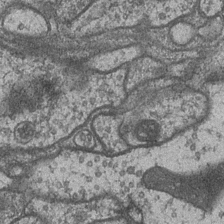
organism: Drosophila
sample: Optic medulla